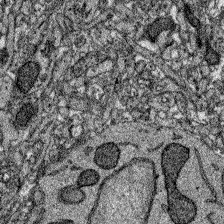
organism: Zebrafish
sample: Larval olfactory bulb